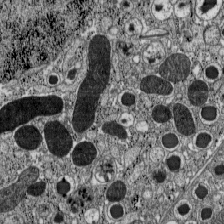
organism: C57BL Mouse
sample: Pancreatic islet